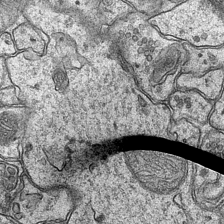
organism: Mouse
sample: CA1 Hippocampus